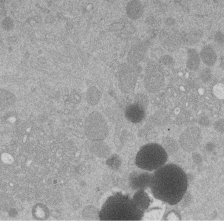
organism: Mouse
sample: Dividing mouse embryo 1 cell stage